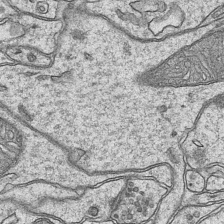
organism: Mouse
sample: CA1 Hippocampus